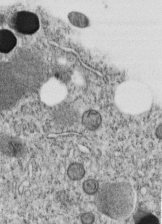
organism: C. elegans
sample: C. elegans embryo early stage